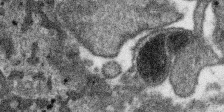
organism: Human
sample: Lung epithelial cells infected with SARS-CoV-2